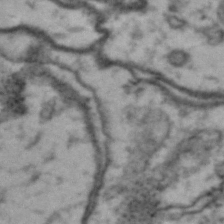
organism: Drosophila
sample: Brain